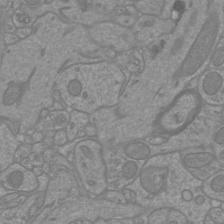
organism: Mouse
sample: Cortical neurons